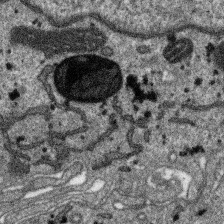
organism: Human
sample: Lung epithelial cells infected with SARS-CoV-2